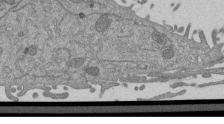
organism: Mouse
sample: ED-1 cell nuclei; centrioles